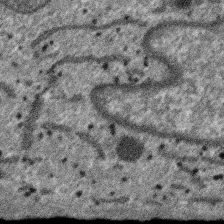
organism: Human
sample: Lung epithelial cells infected with SARS-CoV-2